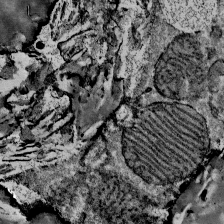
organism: Mouse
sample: Mouse Salivary gland